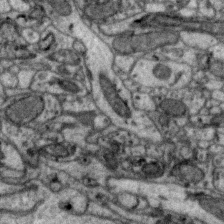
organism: Zebra finch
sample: Brain